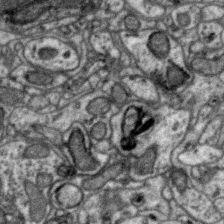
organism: Zebra finch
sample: Brain